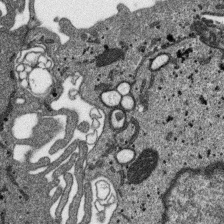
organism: Human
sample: Lung epithelial cells infected with SARS-CoV-2